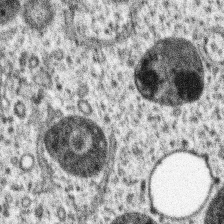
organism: Human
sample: HeLa cells